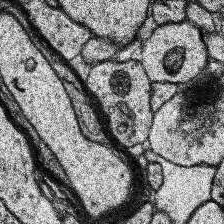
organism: Human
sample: Temporal Lobe